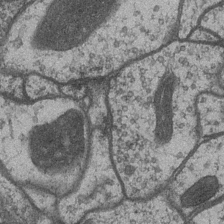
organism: Drosophila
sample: Optic medulla